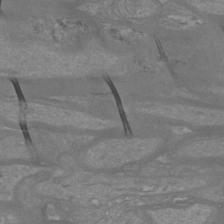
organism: Mouse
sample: Cortical neurons